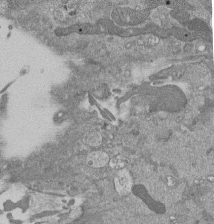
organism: Mouse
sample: ED-1 cell nuclei; centrioles